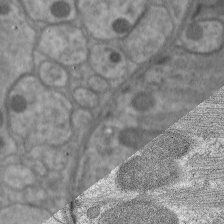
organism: C. elegans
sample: Pharynx